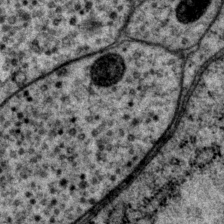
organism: P. pacificus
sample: Pharynx